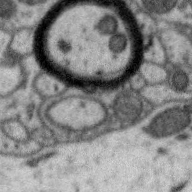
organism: Zebra finch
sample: Brain